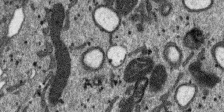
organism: Human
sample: Lung epithelial cells infected with SARS-CoV-2